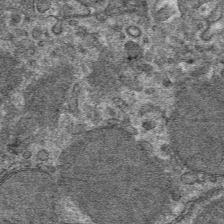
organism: Mouse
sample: Mouse hepatocytes